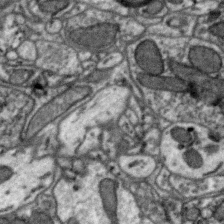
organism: Zebra finch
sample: Brain